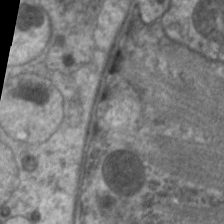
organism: C. elegans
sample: Pharynx